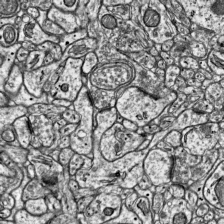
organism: Mouse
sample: Visual Cortex